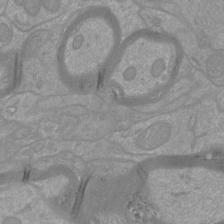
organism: Mouse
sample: Cortical neurons